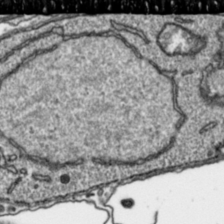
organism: Toxoplasma gondii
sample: Parasites in a vacuole inside a host cell